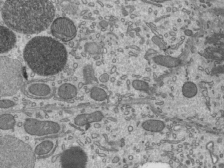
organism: Mouse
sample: Mouse epididymis efferent ductule cilia